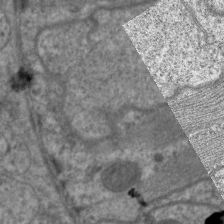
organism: C. elegans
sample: Pharynx